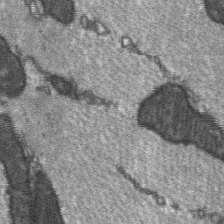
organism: C57BL Mouse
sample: Soleus